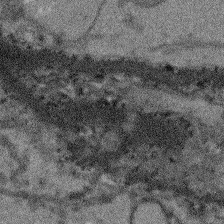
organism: Arabidopsis thaliana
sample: Root tip